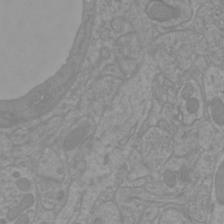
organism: Mouse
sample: Cortical neurons